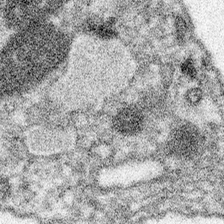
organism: Spongilla lacustris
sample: Neuroid cell